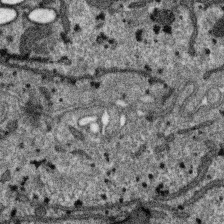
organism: Human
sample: Lung epithelial cells infected with SARS-CoV-2